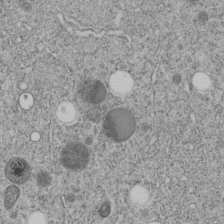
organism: C. elegans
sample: C. elegans embryo early stage